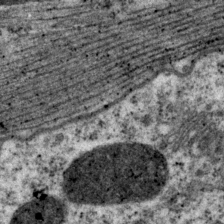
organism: P. pacificus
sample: Pharynx